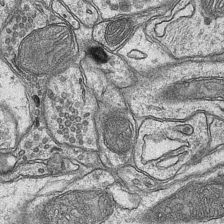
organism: Mouse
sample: CA1 Hippocampus